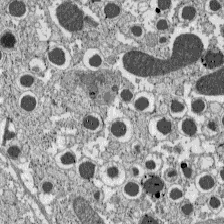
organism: C57BL Mouse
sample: Pancreatic islet